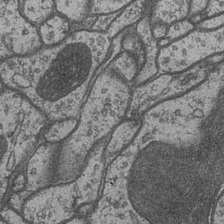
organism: Drosophila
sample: Optic medulla